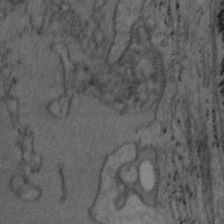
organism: Human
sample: HeLa cells